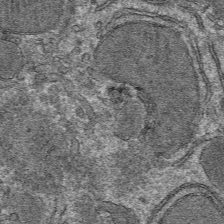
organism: Mouse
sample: Mouse hepatocytes